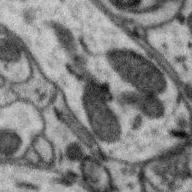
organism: Zebra finch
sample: Brain